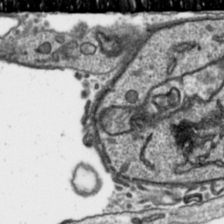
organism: Toxoplasma gondii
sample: Parasites in a vacuole inside a host cell